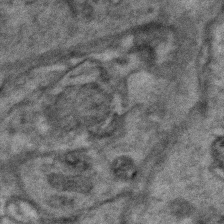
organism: Zebrafish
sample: Zebrafish embryo